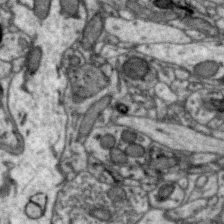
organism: Zebra finch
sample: Brain